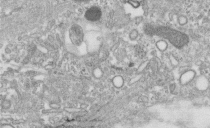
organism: Human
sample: Centriole in fibroblast cells